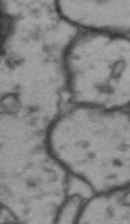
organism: Drosophila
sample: Brain